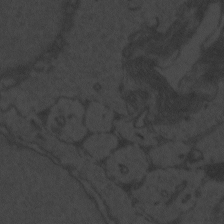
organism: Zebrafish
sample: Macrophage infected with Toxoplasma gondii